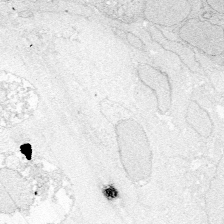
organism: Zebrafish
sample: Whole-Brain